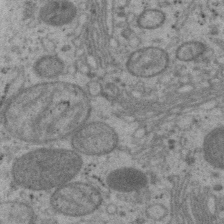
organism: Human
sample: HeLa cells